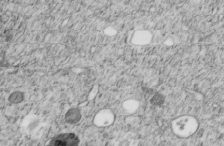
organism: C. elegans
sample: C. elegans embryo early stage